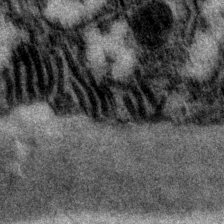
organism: P. pacificus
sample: Pharynx